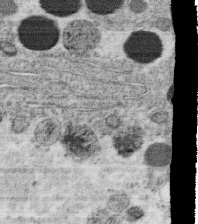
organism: C. elegans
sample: C. elegans oocyte; sperm cells